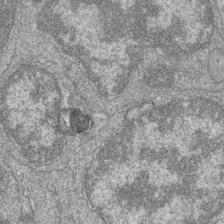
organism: Zebrafish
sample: Cilia; retinal pigment epithelium